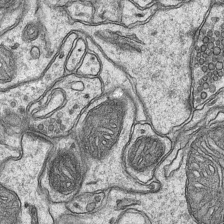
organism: Mouse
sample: CA1 Hippocampus